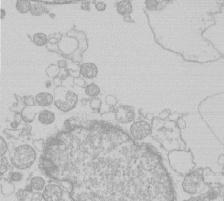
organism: Human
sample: Macrophage cells